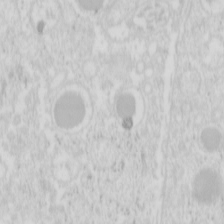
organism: Mouse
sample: Pancreas